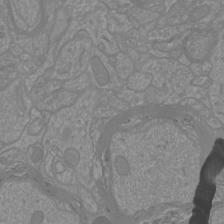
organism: Mouse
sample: Cortical neurons